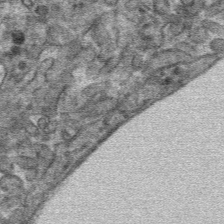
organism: Mouse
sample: Mouse hepatocytes